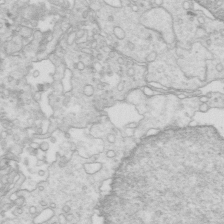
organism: Mouse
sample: Multiciliated cells